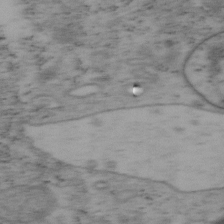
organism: Mouse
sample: OT-I killer T cells with ID8 ovarian cancer cells